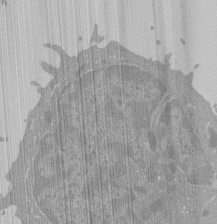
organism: Mouse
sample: Activated Pmel transgenic CD8+ T Cells